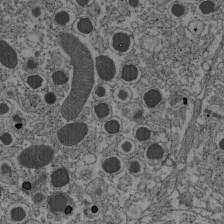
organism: C57BL Mouse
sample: Pancreatic islet